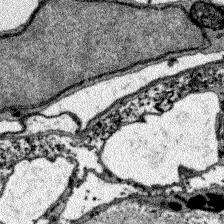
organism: Zebrafish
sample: Larval olfactory bulb